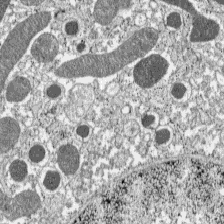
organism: C57BL Mouse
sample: Pancreatic islet